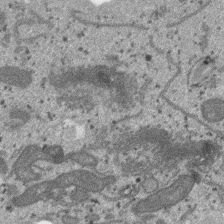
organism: Human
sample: Lung epithelial cells infected with SARS-CoV-2